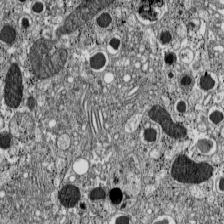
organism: C57BL Mouse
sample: Pancreatic islet